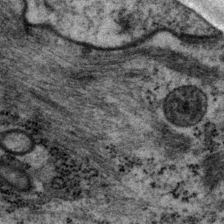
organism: P. pacificus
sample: Pharynx